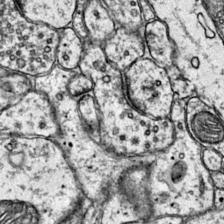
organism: Mouse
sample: Primary visual cortex